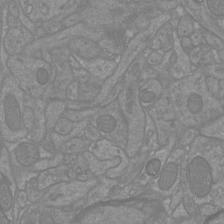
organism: Mouse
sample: Cortical neurons